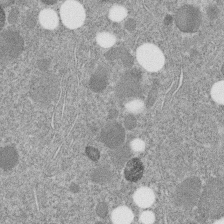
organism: C. elegans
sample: C. elegans embryo early stage